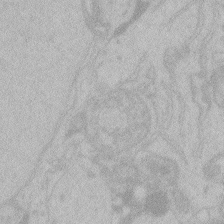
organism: Zebrafish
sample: Macrophage infected with Toxoplasma gondii